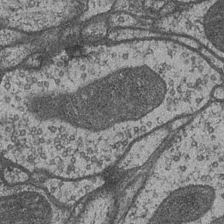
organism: Drosophila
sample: Optic medulla